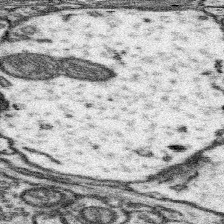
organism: Mouse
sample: Somatosensory cortex neuropil